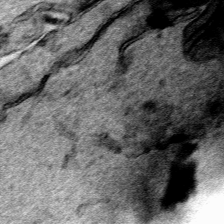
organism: Human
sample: Mitochondria in HCT116 cells